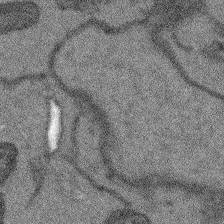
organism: Arabidopsis thaliana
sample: Root tip